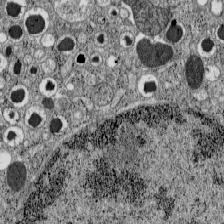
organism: C57BL Mouse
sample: Pancreatic islet